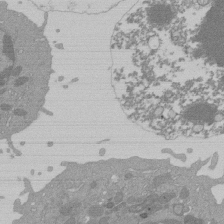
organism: Mouse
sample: Activated Pmel transgenic CD8+ T Cells